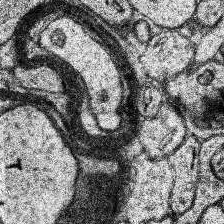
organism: Human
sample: Temporal Lobe